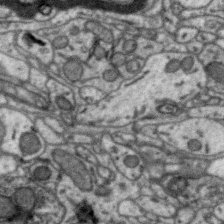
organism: Zebra finch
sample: Brain